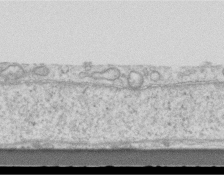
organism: Mouse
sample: Centriole in ependymal cells